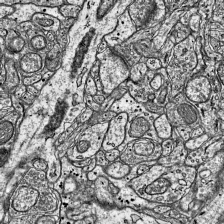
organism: Mouse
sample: Visual Cortex